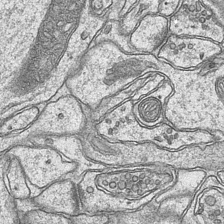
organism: Mouse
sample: CA1 Hippocampus